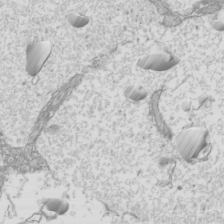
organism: Mouse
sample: Cilia; mouse epididymis